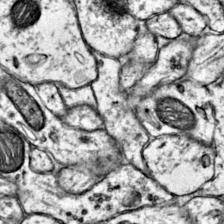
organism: Mouse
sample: Primary visual cortex